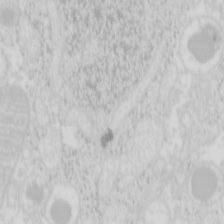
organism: Mouse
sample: Pancreas